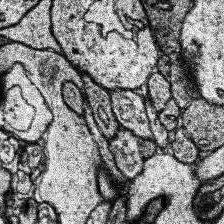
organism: Human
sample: Temporal Lobe